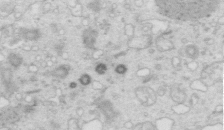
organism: Mouse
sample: Multiciliated cells